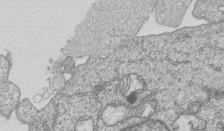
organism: Human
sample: MDA-MB-231 cells